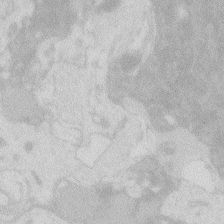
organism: Zebrafish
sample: Macrophage